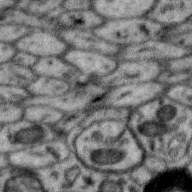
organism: Zebra finch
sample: Brain